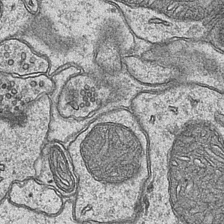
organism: Mouse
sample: CA1 Hippocampus